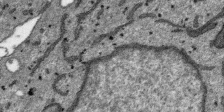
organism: Human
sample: Lung epithelial cells, uninfected (mock) control